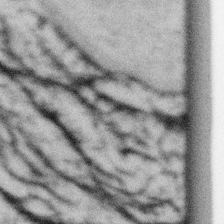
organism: Gemmata obscuriglobus